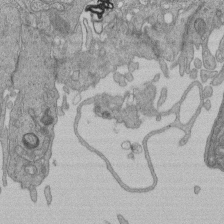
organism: Human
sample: Retinal organoid Rod and Cone cells